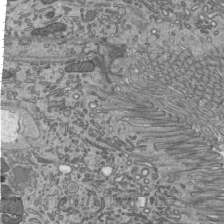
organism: Mouse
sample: Mouse epididymis efferent ductule cilia